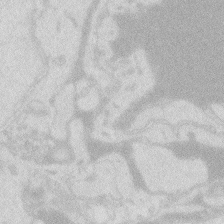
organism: Zebrafish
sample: Macrophage